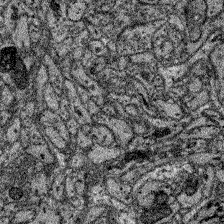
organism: Zebrafish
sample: Larval olfactory bulb